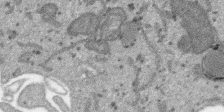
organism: Human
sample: Lung epithelial cells infected with SARS-CoV-2